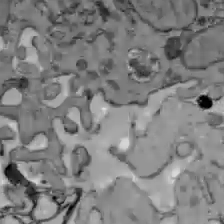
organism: C57BL Mouse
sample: Liver